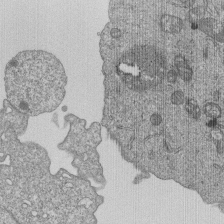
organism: Human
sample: MDA-MB-231 cells